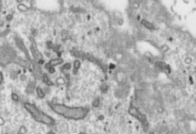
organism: Toxoplasma gondii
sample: Parasites in a vacuole inside a host cell